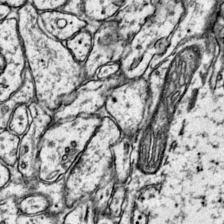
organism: Mouse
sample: Primary visual cortex